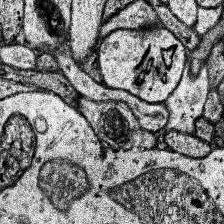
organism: Human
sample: Temporal Lobe